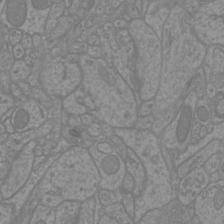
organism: Mouse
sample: Cortical neurons